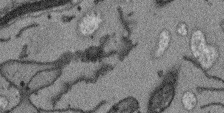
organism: Arabidopsis thaliana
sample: Root tip